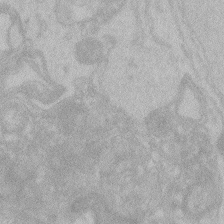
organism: Zebrafish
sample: Macrophage infected with Toxoplasma gondii